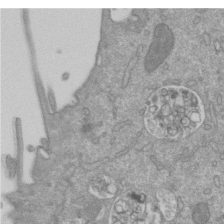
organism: Mouse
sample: ED-1 cell nuclei; centrioles